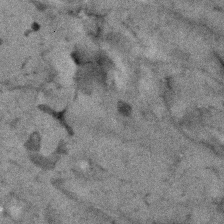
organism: Human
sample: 1205lu cells